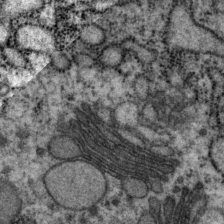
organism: P. pacificus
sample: Pharynx